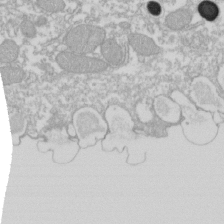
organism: Xenopus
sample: Cilia; centrioles in frog embryo cells